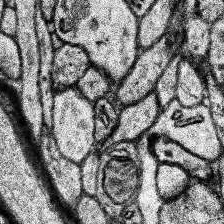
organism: Human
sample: Temporal Lobe